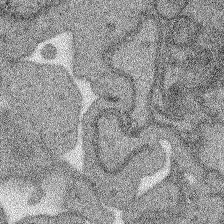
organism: Human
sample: HeLa cells